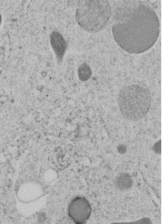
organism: C. elegans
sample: C. elegans embryo early stage